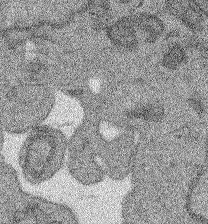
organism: Human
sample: HeLa cells